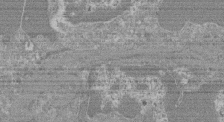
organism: Mouse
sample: Glomerulus